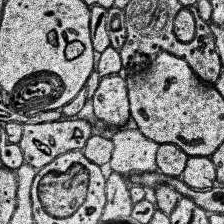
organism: Human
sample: Temporal Lobe